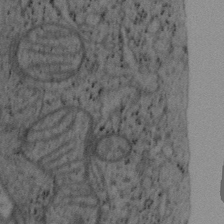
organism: Human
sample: HeLa cells